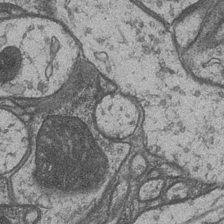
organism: Drosophila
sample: Optic medulla